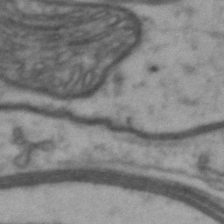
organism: Drosophila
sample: Brain